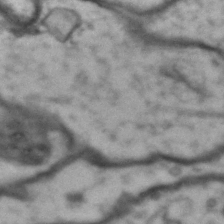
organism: Drosophila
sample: Brain